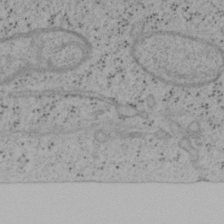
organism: Human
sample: HeLa cells